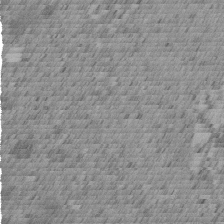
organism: C. elegans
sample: C. elegans embryo early stage